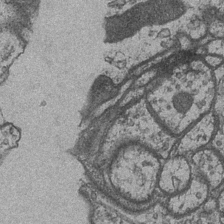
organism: Drosophila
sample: Optic medulla